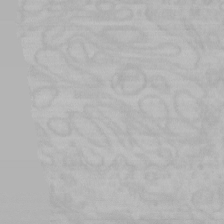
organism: Mouse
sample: Choroid plexus